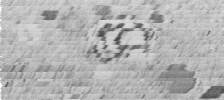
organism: C. elegans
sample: C. elegans embryo early stage